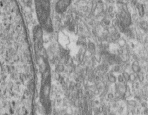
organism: Human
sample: Centriole in RPE cells